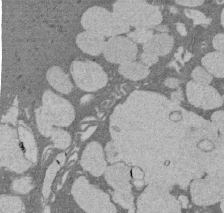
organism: Rat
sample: Salivary granule